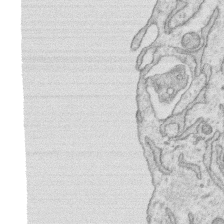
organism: Human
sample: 1205lu cells